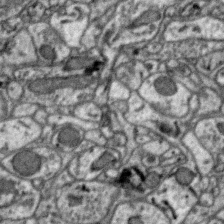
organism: Zebra finch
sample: Brain